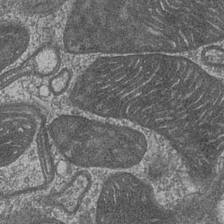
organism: Drosophila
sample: Optic medulla